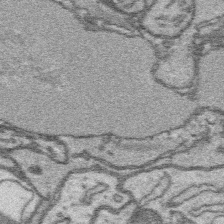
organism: Platynereis dumerilii